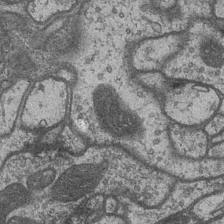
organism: Drosophila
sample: Optic medulla